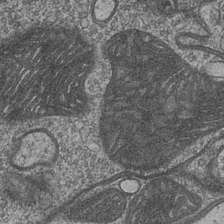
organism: Drosophila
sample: Optic medulla